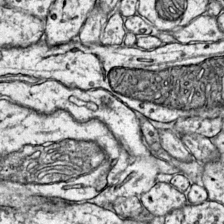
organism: Mouse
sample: Primary visual cortex